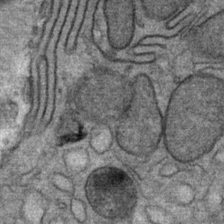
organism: Mouse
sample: Mouse Salivary gland